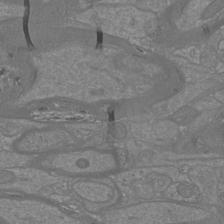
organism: Mouse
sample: Cortical neurons